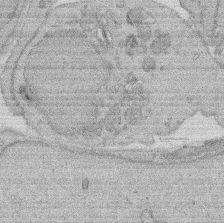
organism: Rat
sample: Salivary granule